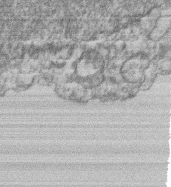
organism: Mouse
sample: T cell stromal cell synapse